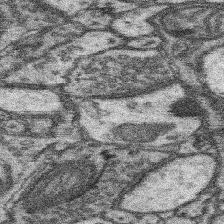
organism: Mouse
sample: Somatosensory cortex neuropil